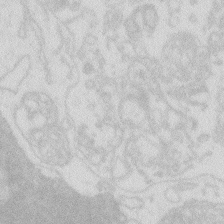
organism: Zebrafish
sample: Macrophage